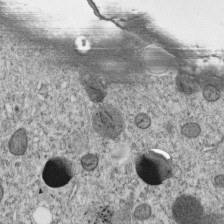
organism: C. elegans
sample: C. elegans embryo early stage